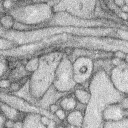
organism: Rabbit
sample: Retina